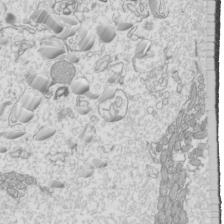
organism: Mouse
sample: Cilia; mouse epididymis